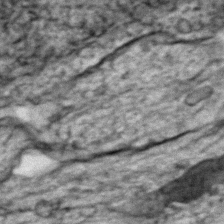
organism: Zebrafish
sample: Zebrafish embryo